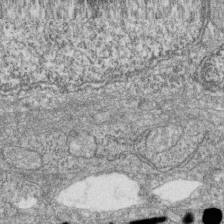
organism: Zebrafish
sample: Cilia; retinal pigment epithelium